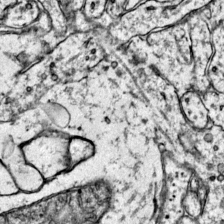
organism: Mouse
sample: Primary visual cortex